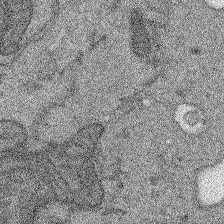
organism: Human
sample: HeLa cells